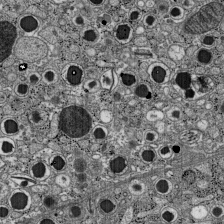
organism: C57BL Mouse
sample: Pancreatic islet